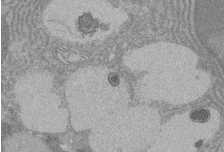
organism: Rat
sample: Salivary granule